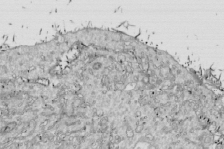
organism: Drosophila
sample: Cell division; meiosis; drosophila spermatocytes